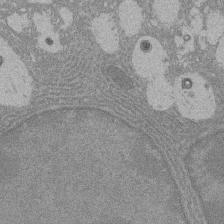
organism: Rat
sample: Salivary granule